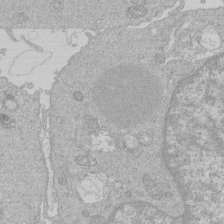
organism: Human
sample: Macrophage cells